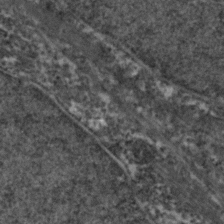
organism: Zebrafish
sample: Zebrafish embryo